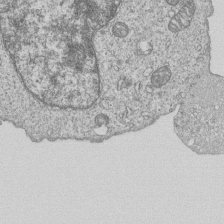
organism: Human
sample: MDA-MB-231 cells